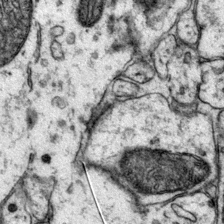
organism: Mouse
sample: Primary visual cortex